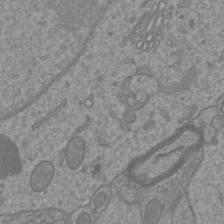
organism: Mouse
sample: Cortical neurons